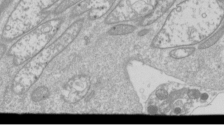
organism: Drosophila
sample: Cell division; meiosis; drosophila spermatocytes